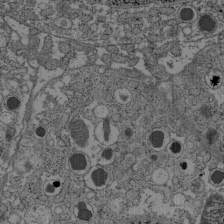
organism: C57BL Mouse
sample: Pancreatic islet